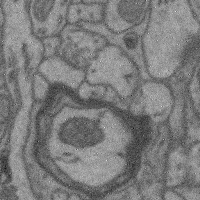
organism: Mouse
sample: Cerebral cortex